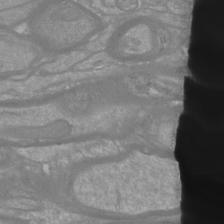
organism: Mouse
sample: Cortical neurons